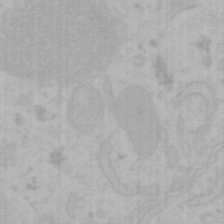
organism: Mouse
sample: Choroid plexus